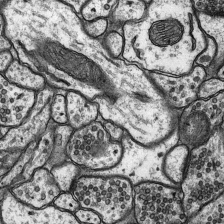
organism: Rat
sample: Hippocampus